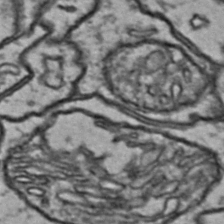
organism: Drosophila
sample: Brain